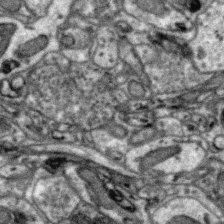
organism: Zebra finch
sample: Brain